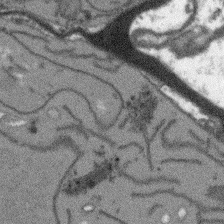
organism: Arabidopsis thaliana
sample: Root tip